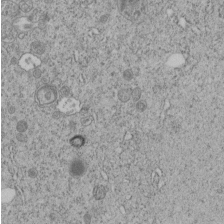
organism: C. elegans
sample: C. elegans embryo early stage